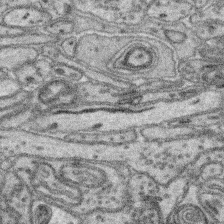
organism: Mouse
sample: Retina